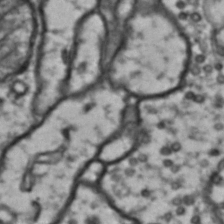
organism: Drosophila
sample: Brain